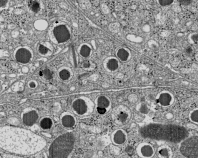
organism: C57BL Mouse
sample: Pancreatic islet